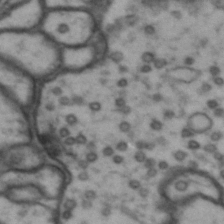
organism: Drosophila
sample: Brain